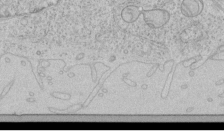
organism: Human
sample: Mitochondria in HCT116 cells